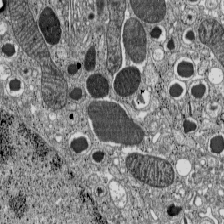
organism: C57BL Mouse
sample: Pancreatic islet